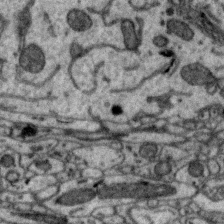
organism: Zebra finch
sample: Brain